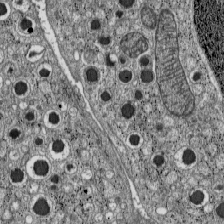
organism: C57BL Mouse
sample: Pancreatic islet